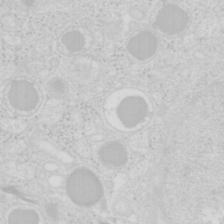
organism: Mouse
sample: Pancreas